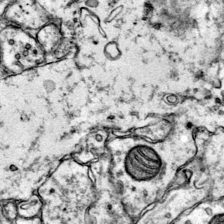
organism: Mouse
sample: Primary visual cortex